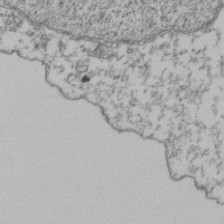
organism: Human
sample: Activated Jurkat CD4+ T cells